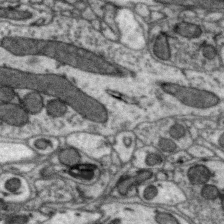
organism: Zebra finch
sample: Brain